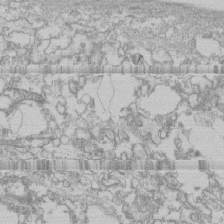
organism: Human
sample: CRL-1474